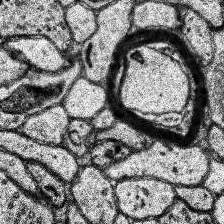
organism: Human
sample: Temporal Lobe